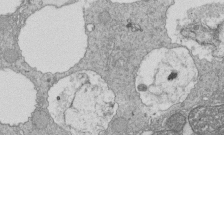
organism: Tetrahymena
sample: Cilia in tetrahymena